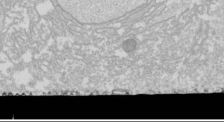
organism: Drosophila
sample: Cell division; meiosis; drosophila spermatocytes